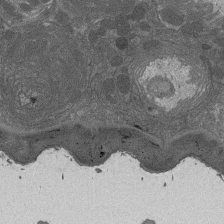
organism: Drosophila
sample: Antenna